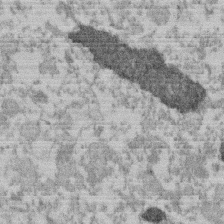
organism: Mouse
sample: Dividing mouse embryo 1 cell stage